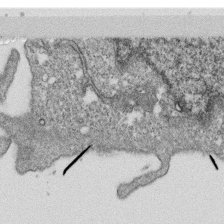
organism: African green monkey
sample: Vero E6 cells infected with SARS-CoV-2